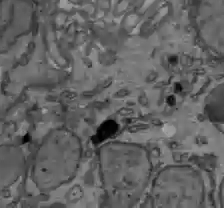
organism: C57BL Mouse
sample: Liver